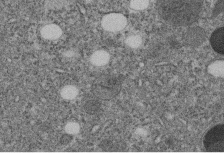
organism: C. elegans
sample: C. elegans embryo early stage